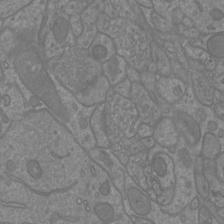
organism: Mouse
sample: Cortical neurons